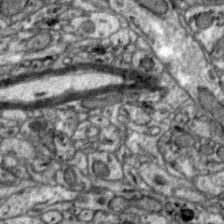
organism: Zebra finch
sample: Brain